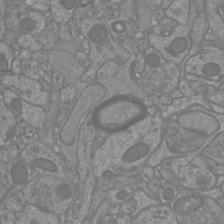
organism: Mouse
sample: Cortical neurons